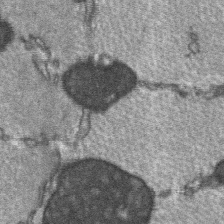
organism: C57BL Mouse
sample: Soleus